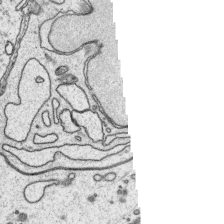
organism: Platynereis dumerilii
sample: Parapodia